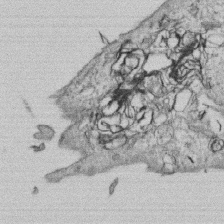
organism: Human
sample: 1205lu cells